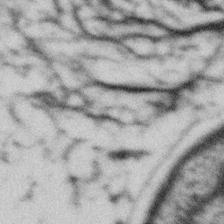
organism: Gemmata obscuriglobus